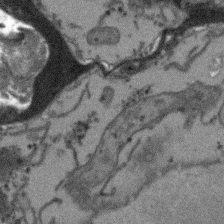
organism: Arabidopsis thaliana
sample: Root tip